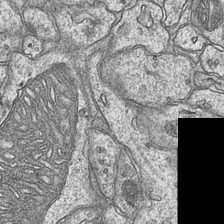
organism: Mouse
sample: CA1 Hippocampus